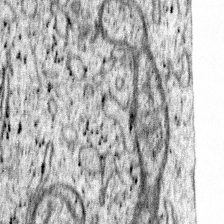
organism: Human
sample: HeLa cells